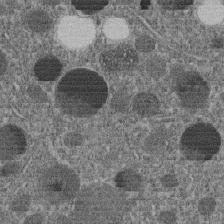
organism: C. elegans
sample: C. elegans embryo early stage